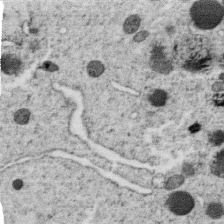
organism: C. elegans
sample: C. elegans oocyte; sperm cells